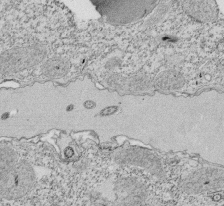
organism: Tetrahymena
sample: Cilia in tetrahymena